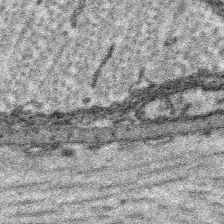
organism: Platynereis dumerilii